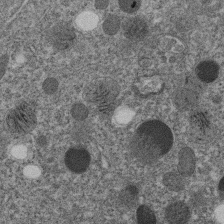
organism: C. elegans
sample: C. elegans embryo early stage